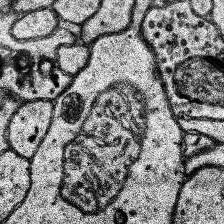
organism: Human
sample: Temporal Lobe